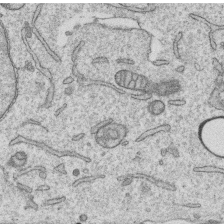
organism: Human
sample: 1205lu cells